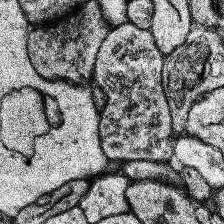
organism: Human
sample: Temporal Lobe